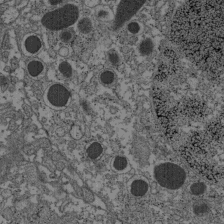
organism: C57BL Mouse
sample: Pancreatic islet